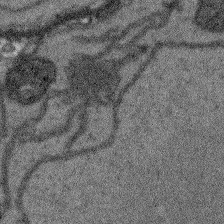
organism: Arabidopsis thaliana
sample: Root tip